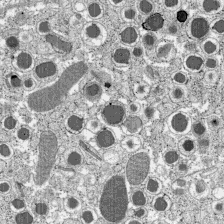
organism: C57BL Mouse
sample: Pancreatic islet